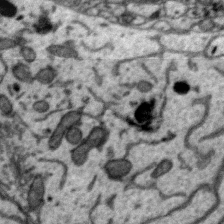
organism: Zebra finch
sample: Brain